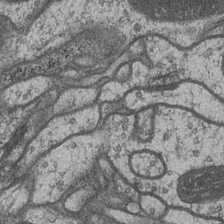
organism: Drosophila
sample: Optic medulla